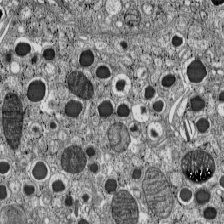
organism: C57BL Mouse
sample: Pancreatic islet